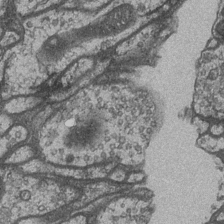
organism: Drosophila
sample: Optic medulla